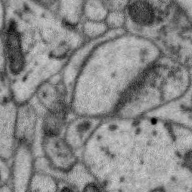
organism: Zebra finch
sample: Brain